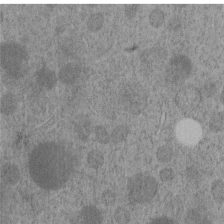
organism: C. elegans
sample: C. elegans embryo early stage